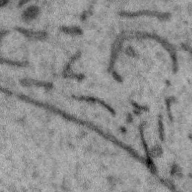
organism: Zebra finch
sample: Brain